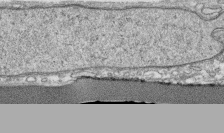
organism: Human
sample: CRL-1474